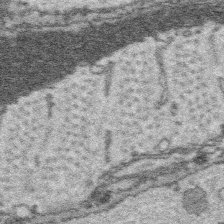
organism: Platynereis dumerilii